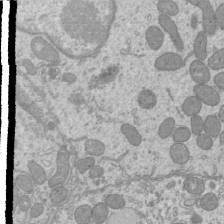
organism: Mouse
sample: Cilia; mouse epididymis